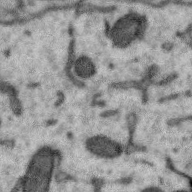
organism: Zebra finch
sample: Brain